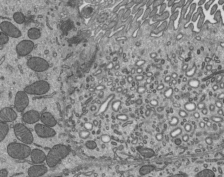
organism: Mouse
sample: Mouse epididymis efferent ductule cilia